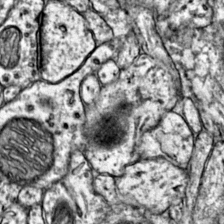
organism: Mouse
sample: Primary visual cortex